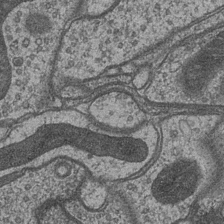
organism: Drosophila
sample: Optic medulla